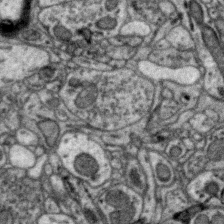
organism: Zebra finch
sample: Brain